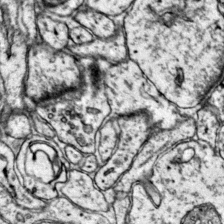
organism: Mouse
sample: Primary visual cortex